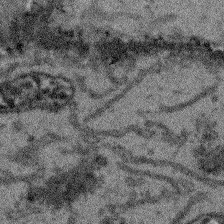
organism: Arabidopsis thaliana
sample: Root tip